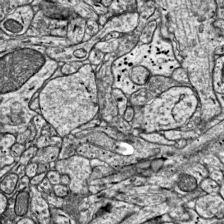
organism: Mouse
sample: Visual Cortex